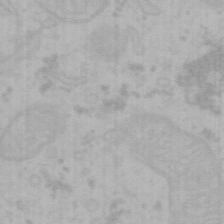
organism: Mouse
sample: Choroid plexus